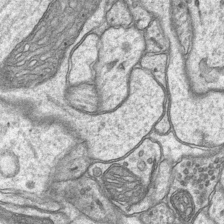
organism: Mouse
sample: CA1 Hippocampus